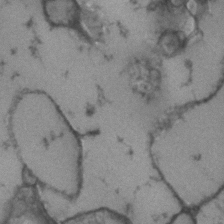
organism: Human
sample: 1205lu cells